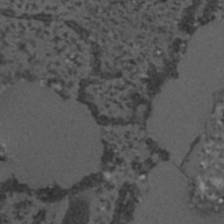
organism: C. elegans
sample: C. elegans embryo